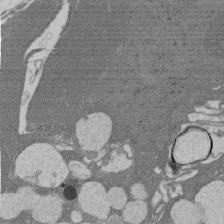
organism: Rat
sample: Salivary granule